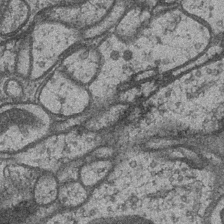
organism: Drosophila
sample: Optic medulla